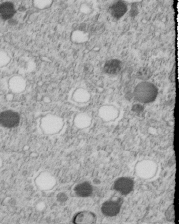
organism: C. elegans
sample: C. elegans embryo early stage